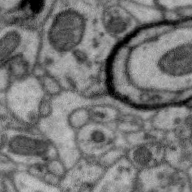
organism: Zebra finch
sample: Brain